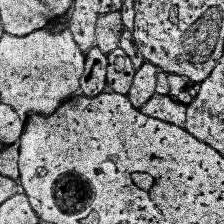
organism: Human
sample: Temporal Lobe